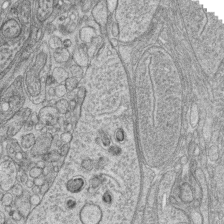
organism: Zebrafish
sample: synaptic ribbons in rod cells and cone cells